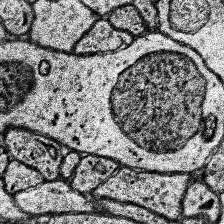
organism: Human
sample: Temporal Lobe